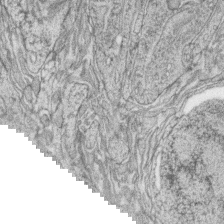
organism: Zebrafish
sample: synaptic ribbons in rod cells and cone cells